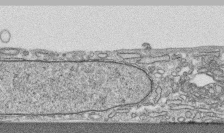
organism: Human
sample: CRL-1474